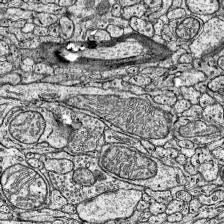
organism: Mouse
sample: Visual Cortex